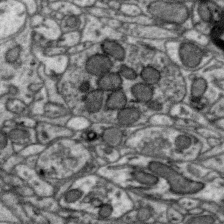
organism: Zebra finch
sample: Brain